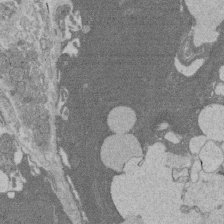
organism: Rat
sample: Salivary granule